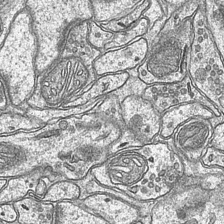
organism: Mouse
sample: CA1 Hippocampus